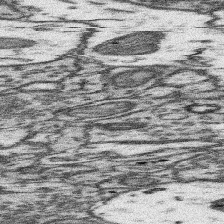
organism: Mouse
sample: Somatosensory cortex neuropil